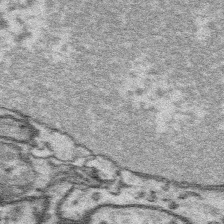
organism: Platynereis dumerilii